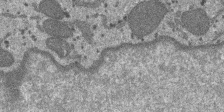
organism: Human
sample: Lung epithelial cells infected with SARS-CoV-2